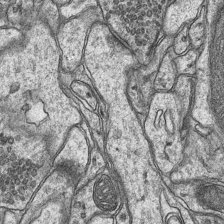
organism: Mouse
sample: CA1 Hippocampus